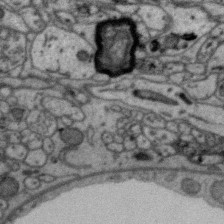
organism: Zebra finch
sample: Brain